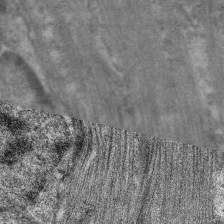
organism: C. elegans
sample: Pharynx